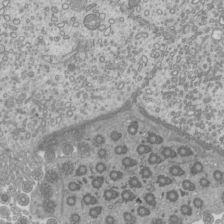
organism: Mouse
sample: Cilia; mouse epididymis